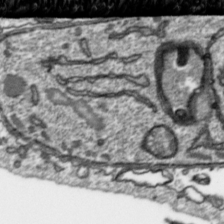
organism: Toxoplasma gondii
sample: Parasites in a vacuole inside a host cell